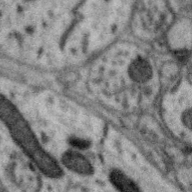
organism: Zebra finch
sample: Brain